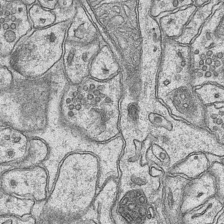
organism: Mouse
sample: CA1 Hippocampus